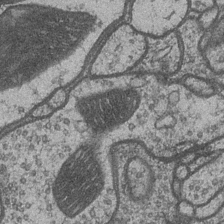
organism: Drosophila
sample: Optic medulla